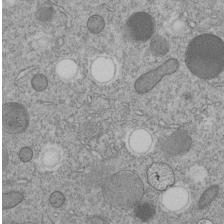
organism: C. elegans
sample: C. elegans embryo early stage